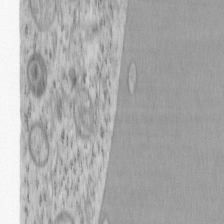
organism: Human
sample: HeLa cells